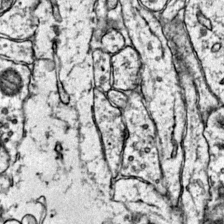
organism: Mouse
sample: Primary visual cortex